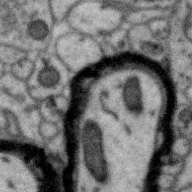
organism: Zebra finch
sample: Brain